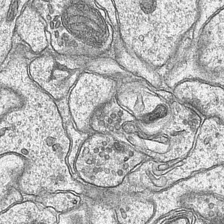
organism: Mouse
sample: CA1 Hippocampus